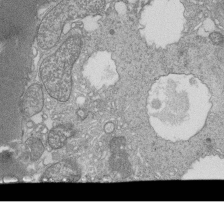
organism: Tetrahymena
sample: Cilia in tetrahymena